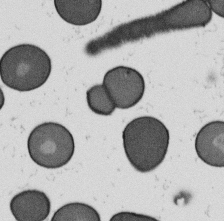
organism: B. subtilis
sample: Bacterial spore